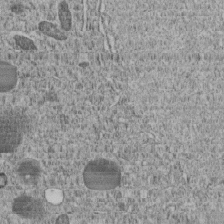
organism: C. elegans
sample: C. elegans embryo early stage